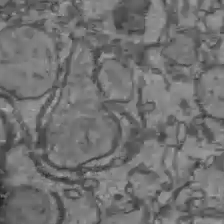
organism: C57BL Mouse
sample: Liver